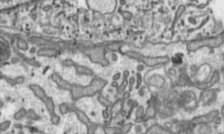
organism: Toxoplasma gondii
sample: Parasites in a vacuole inside a host cell